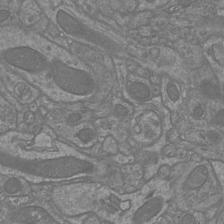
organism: Mouse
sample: Cortical neurons